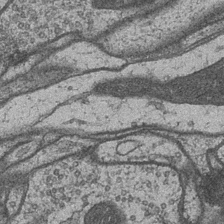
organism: Drosophila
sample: Optic medulla